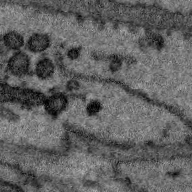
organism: Zebra finch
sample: Brain